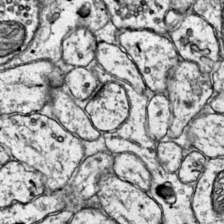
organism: Mouse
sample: Primary visual cortex